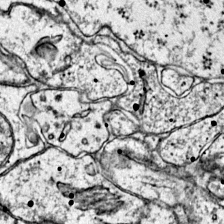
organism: Mouse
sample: Primary visual cortex